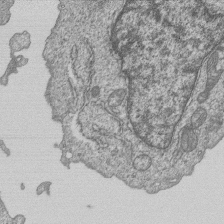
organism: Human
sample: MDA-MB-231 cells